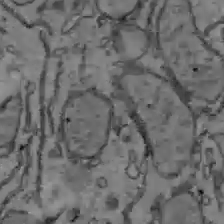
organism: C57BL Mouse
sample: Liver